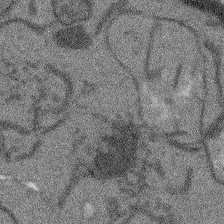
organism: Arabidopsis thaliana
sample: Root tip